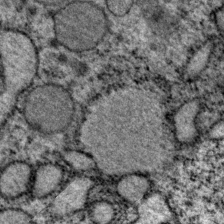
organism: P. pacificus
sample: Pharynx